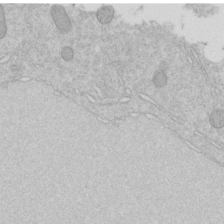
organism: C. elegans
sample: C. elegans embryo early stage